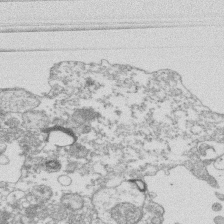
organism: Human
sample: HeLa cell HIV synapse